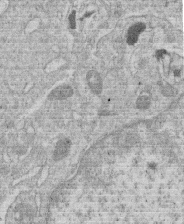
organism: Human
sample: Macrophage cells